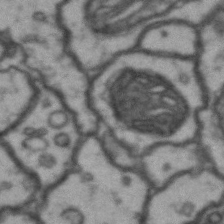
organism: Drosophila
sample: Brain